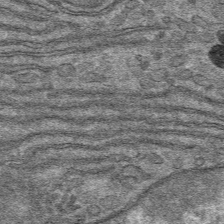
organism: Mouse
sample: Mouse hepatocytes